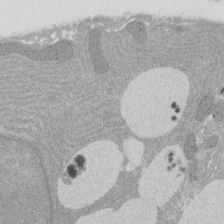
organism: Rat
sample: Salivary granule